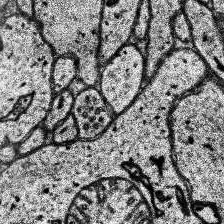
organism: Human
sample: Temporal Lobe